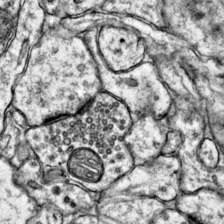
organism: Mouse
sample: Primary visual cortex